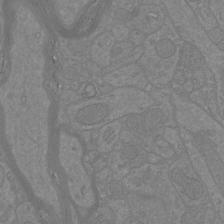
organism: Mouse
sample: Cortical neurons